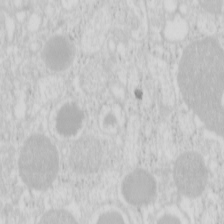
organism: Mouse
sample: Pancreas